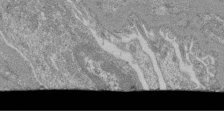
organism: Mouse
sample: Glomerulus